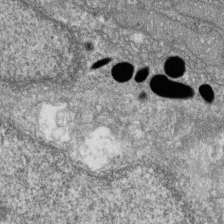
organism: Zebrafish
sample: Cilia; retinal pigment epithelium